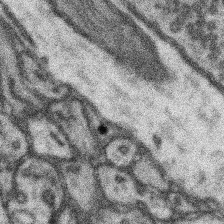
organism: Mouse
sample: Somatosensory cortex neuropil